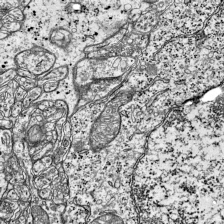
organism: Mouse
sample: Visual Cortex